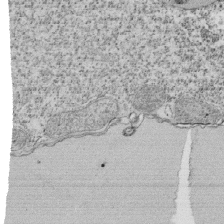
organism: Tetrahymena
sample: Cilia in tetrahymena